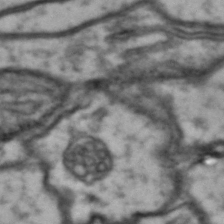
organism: Drosophila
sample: Brain